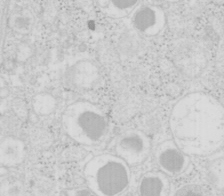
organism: Mouse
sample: Pancreas